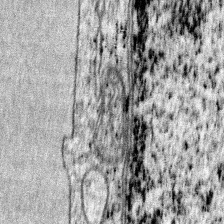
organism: Human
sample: HeLa cells